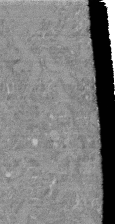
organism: Mouse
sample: Glomerulus